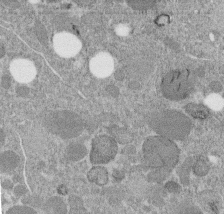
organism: C. elegans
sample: C. elegans embryo early stage